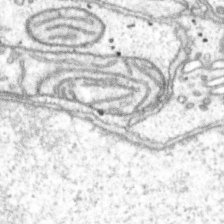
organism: Human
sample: HeLa cells